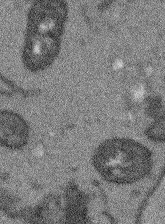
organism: Arabidopsis thaliana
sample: Root tip